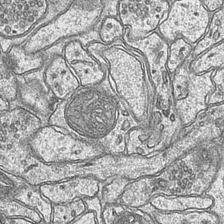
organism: Mouse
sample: CA1 Hippocampus